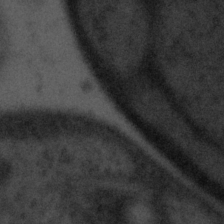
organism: Tuwongella immobilis